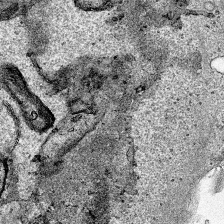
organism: Human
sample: Mitochondria in HCT116 cells